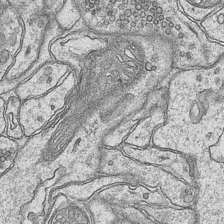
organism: Mouse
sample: CA1 Hippocampus